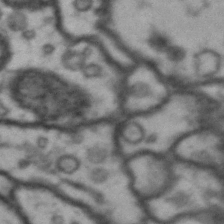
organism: Drosophila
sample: Brain